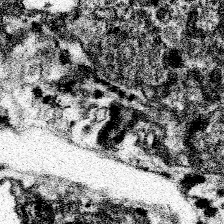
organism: Spongilla lacustris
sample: Neuroid cell